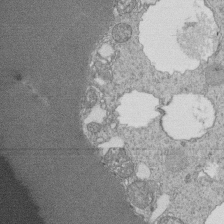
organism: Tetrahymena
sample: Cilia in tetrahymena